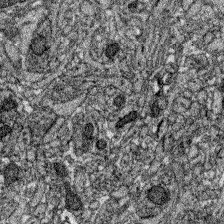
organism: Zebrafish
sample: Larval olfactory bulb